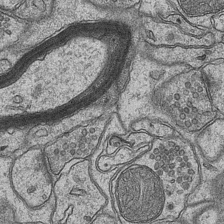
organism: Mouse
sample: CA1 Hippocampus